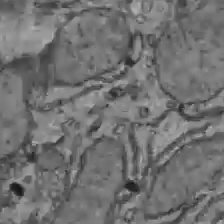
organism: C57BL Mouse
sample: Liver